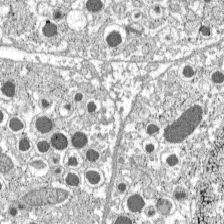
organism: C57BL Mouse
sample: Pancreatic islet